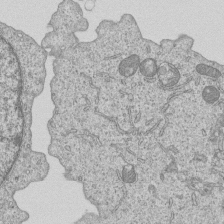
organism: Human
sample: MDA-MB-231 cells